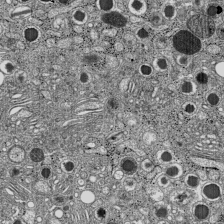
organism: C57BL Mouse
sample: Pancreatic islet